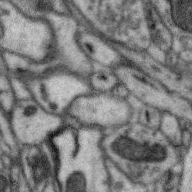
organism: Zebra finch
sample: Brain